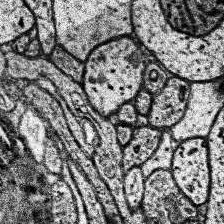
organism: Human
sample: Temporal Lobe